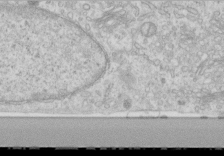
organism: Human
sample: Centriole in RPE cells